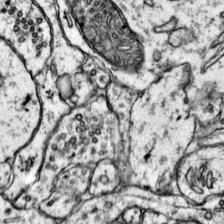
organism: Mouse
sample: Primary visual cortex